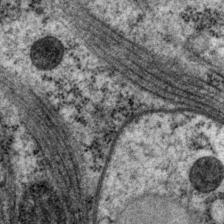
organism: P. pacificus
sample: Pharynx